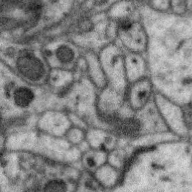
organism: Zebra finch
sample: Brain